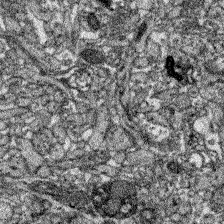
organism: Zebrafish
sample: Larval olfactory bulb